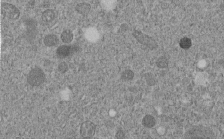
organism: C. elegans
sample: C. elegans embryo early stage